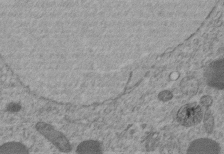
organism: C. elegans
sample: C. elegans embryo early stage